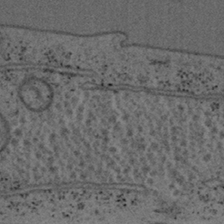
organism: Human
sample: HeLa cells